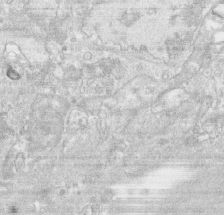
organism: Human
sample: CRL-1474